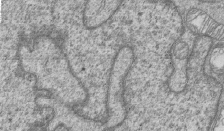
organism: Human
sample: MDA-MB-231 cells